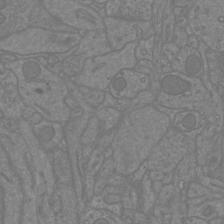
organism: Mouse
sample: Cortical neurons